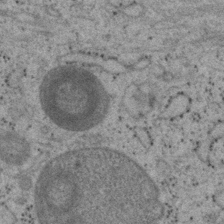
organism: Human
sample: HeLa cells